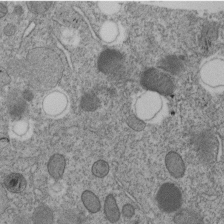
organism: C. elegans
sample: C. elegans embryo early stage